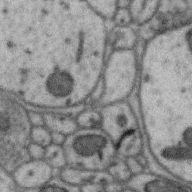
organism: Zebra finch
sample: Brain